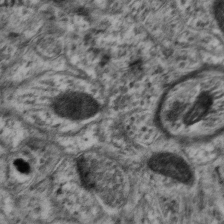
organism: Mouse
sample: Neocortex